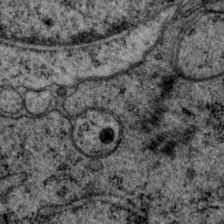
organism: P. pacificus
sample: Pharynx